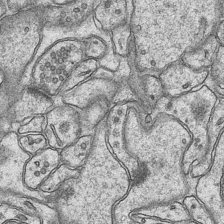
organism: Mouse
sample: CA1 Hippocampus